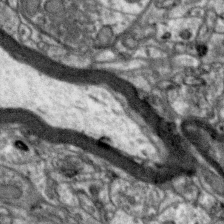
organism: Zebra finch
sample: Brain